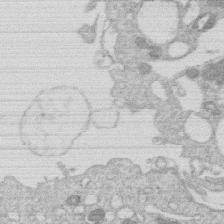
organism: Human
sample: Macrophage cells